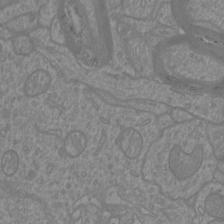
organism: Mouse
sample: Cortical neurons